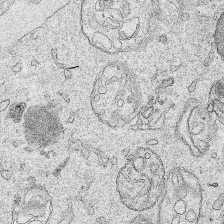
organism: Human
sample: Mitochondria in HCT116 cells